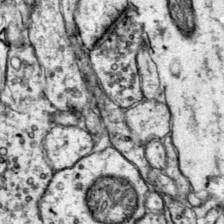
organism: Mouse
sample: Primary visual cortex